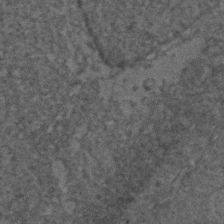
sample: Trachea